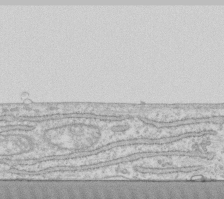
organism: Human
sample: Fibroblast cells